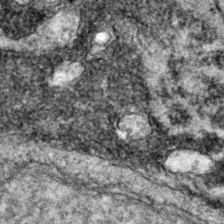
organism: Zebrafish